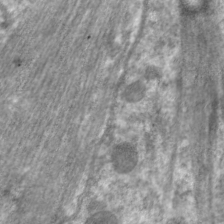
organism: C. elegans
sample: Pharynx